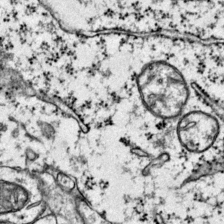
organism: Mouse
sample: Primary visual cortex